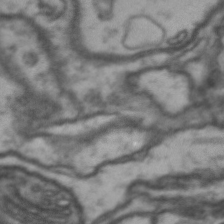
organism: Drosophila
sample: Brain